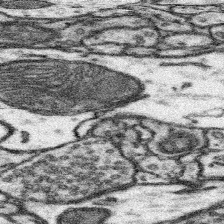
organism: Mouse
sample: Somatosensory cortex neuropil